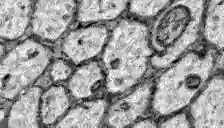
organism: Zebrafish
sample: Brain